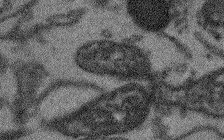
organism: Arabidopsis thaliana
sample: Root tip